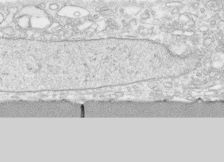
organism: Human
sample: CRL-1474